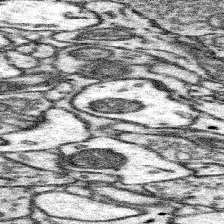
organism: Mouse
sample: Somatosensory cortex neuropil